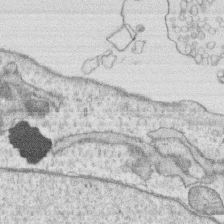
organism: Human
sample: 1205lu cells